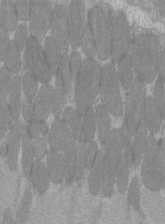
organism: C57BL Mouse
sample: Tibialis anterior muscle cell